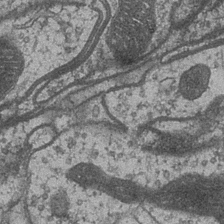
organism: Drosophila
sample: Optic medulla